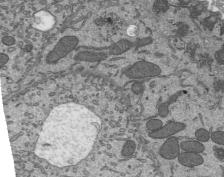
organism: Mouse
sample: Mouse epididymis efferent ductule cilia